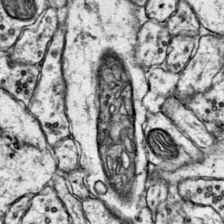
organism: Mouse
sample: Primary visual cortex